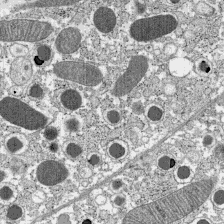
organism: C57BL Mouse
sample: Pancreatic islet